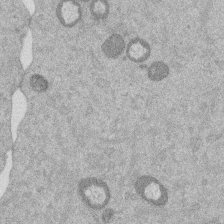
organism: Mouse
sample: Dividing mouse embryo 1 cell stage